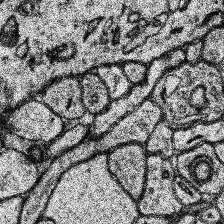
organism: Human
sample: Temporal Lobe